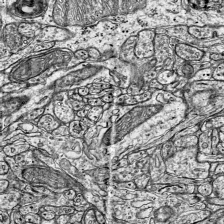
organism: Mouse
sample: Visual Cortex